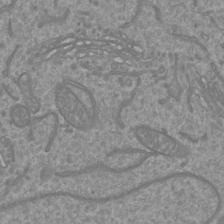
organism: Mouse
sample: Cortical neurons